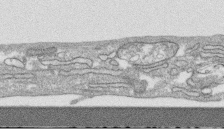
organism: Human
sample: CRL-1474